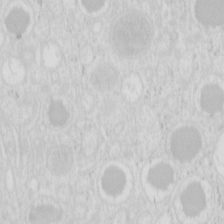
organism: Mouse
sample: Pancreas